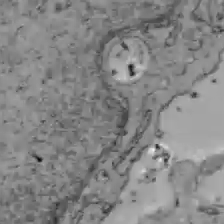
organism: C57BL Mouse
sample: Liver